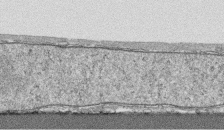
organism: Human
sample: CRL-1474